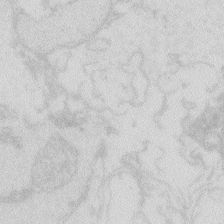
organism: Zebrafish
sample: Macrophage